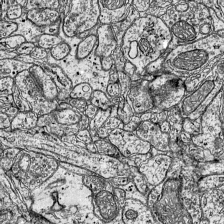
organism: Mouse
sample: Visual Cortex